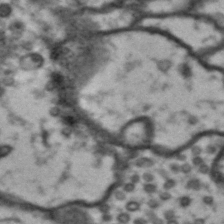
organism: Drosophila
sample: Brain